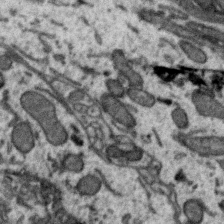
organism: Zebra finch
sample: Brain